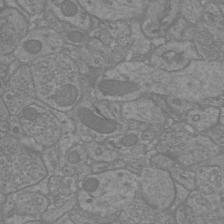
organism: Mouse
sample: Cortical neurons